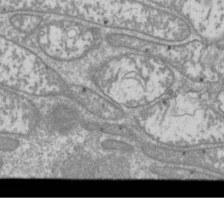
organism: Drosophila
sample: Cell division; meiosis; drosophila spermatocytes